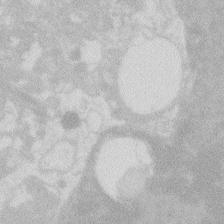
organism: Zebrafish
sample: Macrophage